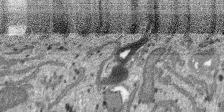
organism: Human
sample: Lung epithelial cells infected with SARS-CoV-2